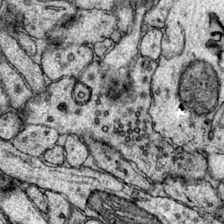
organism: Mouse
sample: Primary visual cortex